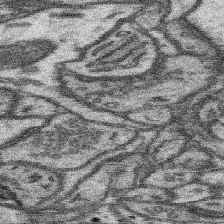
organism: Mouse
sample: Somatosensory cortex neuropil